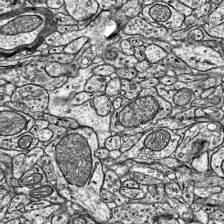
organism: Mouse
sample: Visual Cortex